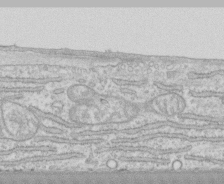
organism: Human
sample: CRL-1474